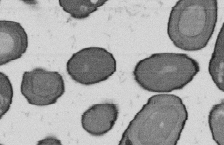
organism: B. subtilis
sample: Bacterial spore